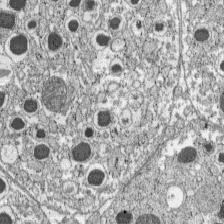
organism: C57BL Mouse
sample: Pancreatic islet